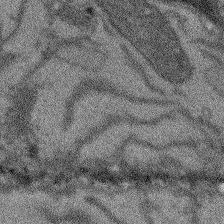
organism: Arabidopsis thaliana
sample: Root tip